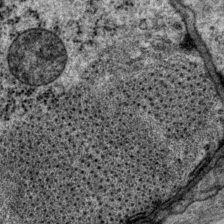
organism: P. pacificus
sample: Pharynx